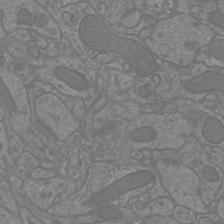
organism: Mouse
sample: Cortical neurons